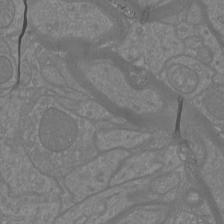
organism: Mouse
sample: Cortical neurons